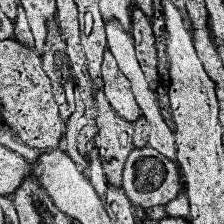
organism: Human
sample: Temporal Lobe